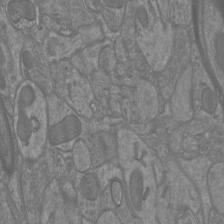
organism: Mouse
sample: Cortical neurons